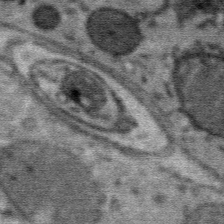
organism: Mouse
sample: Mouse Salivary gland